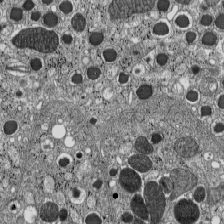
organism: C57BL Mouse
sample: Pancreatic islet